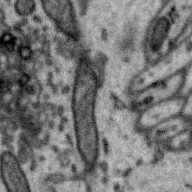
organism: Zebra finch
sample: Brain